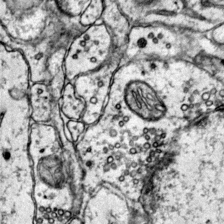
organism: Mouse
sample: Primary visual cortex